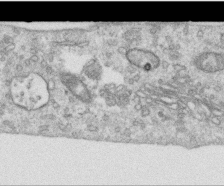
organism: Human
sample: Centriole in RPE cells